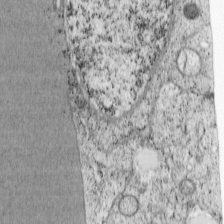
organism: African green monkey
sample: COS-7 cells